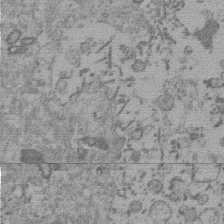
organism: Mouse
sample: Dividing mouse embryo 1 cell stage